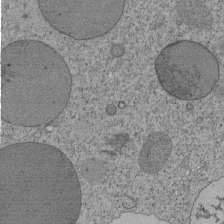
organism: Tetrahymena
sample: Cilia in tetrahymena